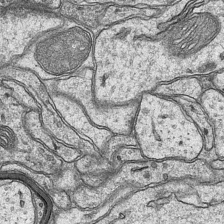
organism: Mouse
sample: CA1 Hippocampus